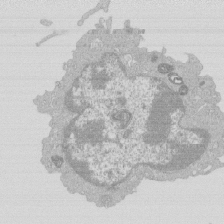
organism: Mouse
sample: Activated Pmel transgenic CD8+ T Cells